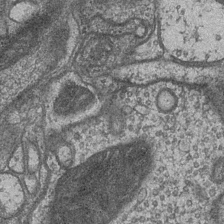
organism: Drosophila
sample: Optic medulla